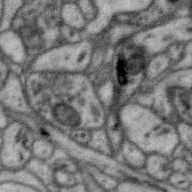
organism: Zebra finch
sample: Brain